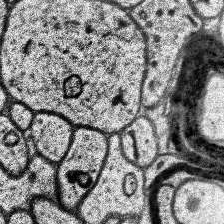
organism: Human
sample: Temporal Lobe